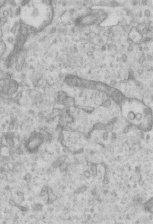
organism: Mouse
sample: Centriole in ependymal cells